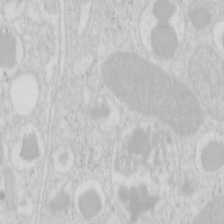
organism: Mouse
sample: Pancreas